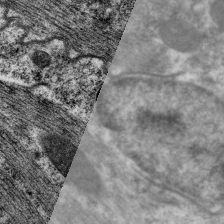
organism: C. elegans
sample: Pharynx